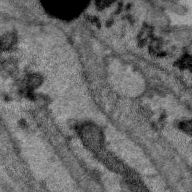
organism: Zebra finch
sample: Brain